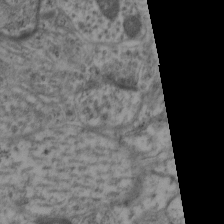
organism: Mouse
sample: Neocortex